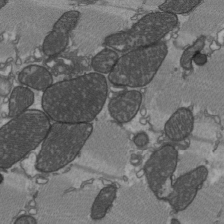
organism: C57BL Mouse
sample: Heart